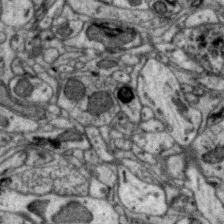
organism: Zebra finch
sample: Brain